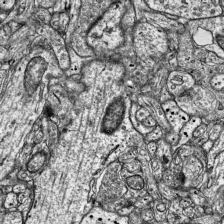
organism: Mouse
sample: Visual Cortex